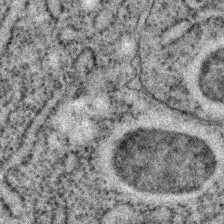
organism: C. elegans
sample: C. elegans embryo